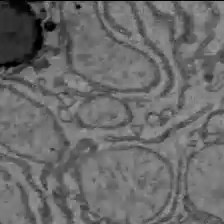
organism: C57BL Mouse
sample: Liver